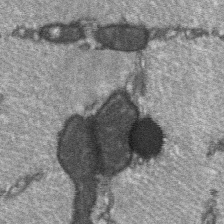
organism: C57BL Mouse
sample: Soleus